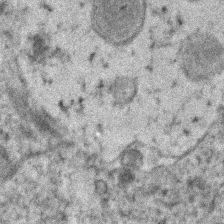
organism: Human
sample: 1205lu cells